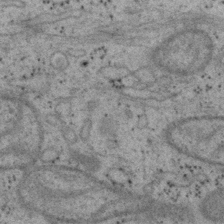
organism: Human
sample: HeLa cells